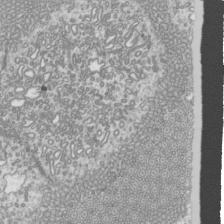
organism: Mouse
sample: Cilia; mouse epididymis